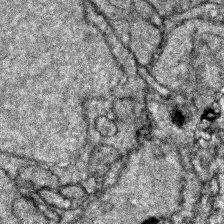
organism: Zebrafish